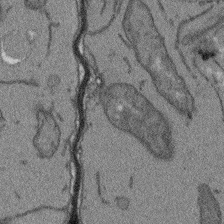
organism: Arabidopsis thaliana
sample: Root tip